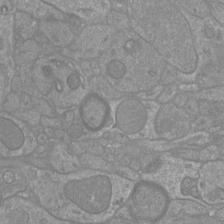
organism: Mouse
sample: Cortical neurons